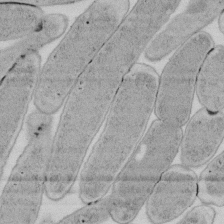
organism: E. coli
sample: Bacterial nucleoid